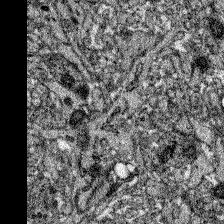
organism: Zebrafish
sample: Larval olfactory bulb